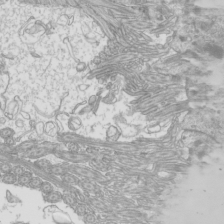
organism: Mouse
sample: Cilia; mouse epididymis